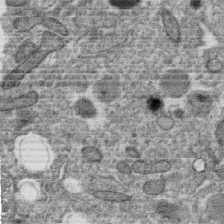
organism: C. elegans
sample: C. elegans oocyte; sperm cells